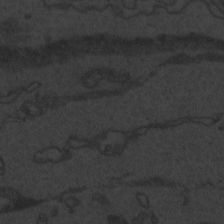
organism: Zebrafish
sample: Macrophage infected with Toxoplasma gondii